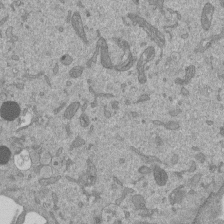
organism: Mouse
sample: ED-1 cell nuclei; centrioles